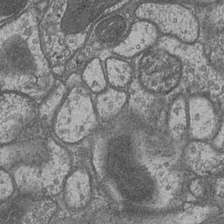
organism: Drosophila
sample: Optic medulla